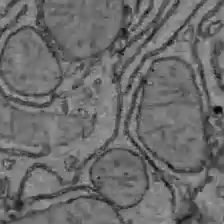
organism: C57BL Mouse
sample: Liver